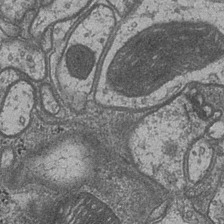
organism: Drosophila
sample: Optic medulla